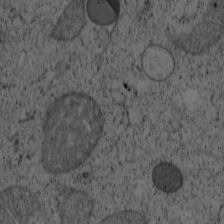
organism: African green monkey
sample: COS-7 cells